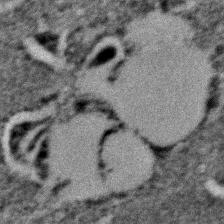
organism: C. elegans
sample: C. elegans embryo